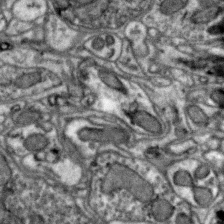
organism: Zebra finch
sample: Brain